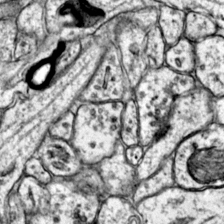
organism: Mouse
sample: Primary visual cortex